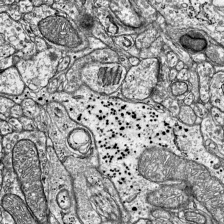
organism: Mouse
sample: Visual Cortex